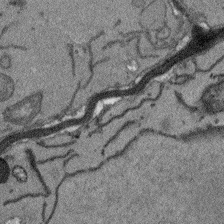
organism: Arabidopsis thaliana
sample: Root tip